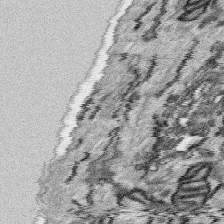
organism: Human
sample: HeLa cells